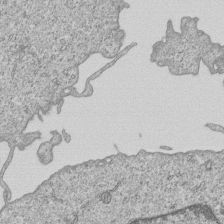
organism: Human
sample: MDA-MB-231 cells